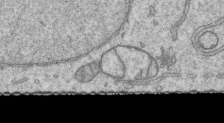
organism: Human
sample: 1205lu cells